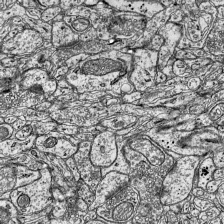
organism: Mouse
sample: Visual Cortex